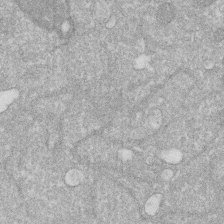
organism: Human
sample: HIV infected U937 cells